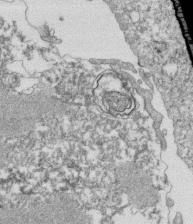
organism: Human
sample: HeLa cell HIV synapse